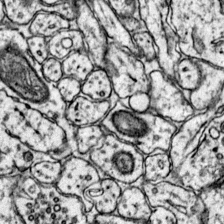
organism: Mouse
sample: Primary visual cortex